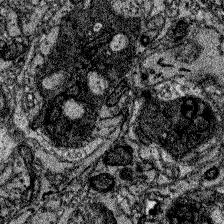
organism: Zebrafish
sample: Larval olfactory bulb